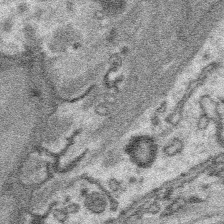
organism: Platynereis dumerilii